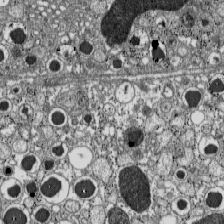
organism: C57BL Mouse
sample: Pancreatic islet